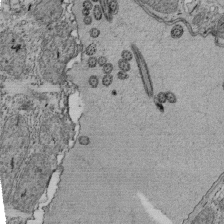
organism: Tetrahymena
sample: Cilia in tetrahymena